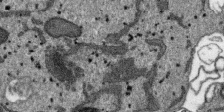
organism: Human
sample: Lung epithelial cells, uninfected (mock) control